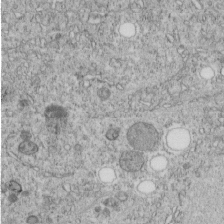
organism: C. elegans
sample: C. elegans embryo early stage